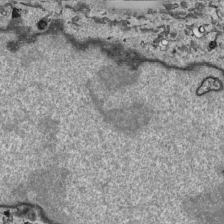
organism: Human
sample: Mitochondria in HCT116 cells